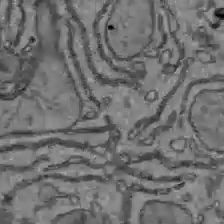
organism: C57BL Mouse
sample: Liver